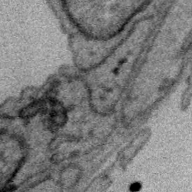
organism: Zebra finch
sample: Brain